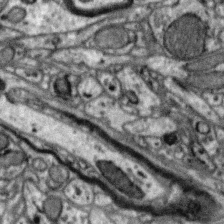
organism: Zebra finch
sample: Brain